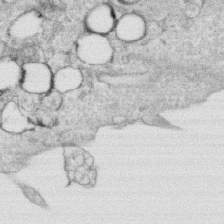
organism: Human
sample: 1205lu cells